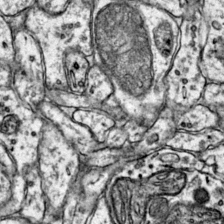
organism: Mouse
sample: Primary visual cortex